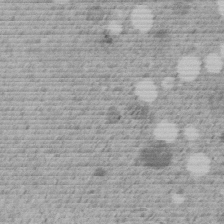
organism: C. elegans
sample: C. elegans embryo early stage